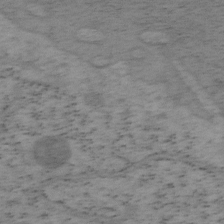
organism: Mouse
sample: OT-I killer T cells with ID8 ovarian cancer cells